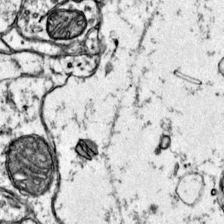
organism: Mouse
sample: Primary visual cortex